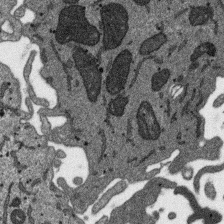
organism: Human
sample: Lung epithelial cells infected with SARS-CoV-2